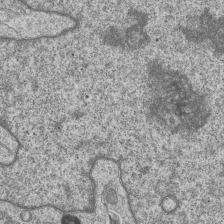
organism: Human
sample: MDA-MB-231 cells